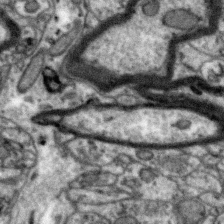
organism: Zebra finch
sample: Brain